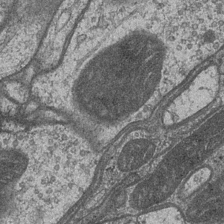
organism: Drosophila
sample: Optic medulla